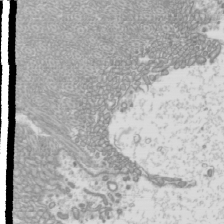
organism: Mouse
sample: Cilia; mouse epididymis